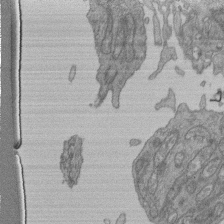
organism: Human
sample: Retinal organoid Rod and Cone cells